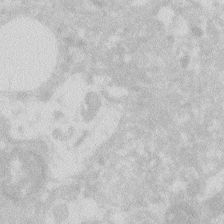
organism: Zebrafish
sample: Macrophage